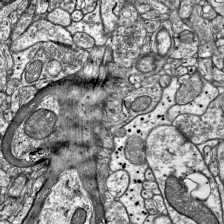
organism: Mouse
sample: Visual Cortex